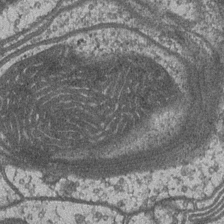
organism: Drosophila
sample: Optic medulla